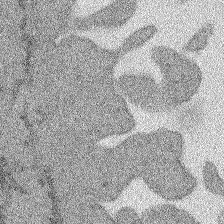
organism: Human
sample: HeLa cells